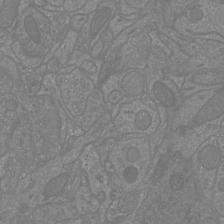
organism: Mouse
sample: Cortical neurons